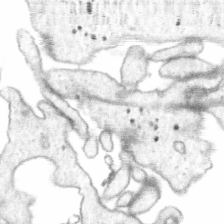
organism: Human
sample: HeLa cells